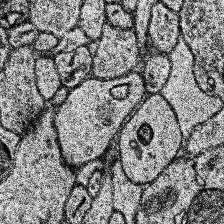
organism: Human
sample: Temporal Lobe